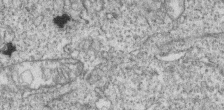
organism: Human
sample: HeLa cell HIV synapse